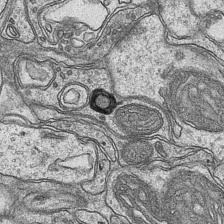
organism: Mouse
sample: CA1 Hippocampus